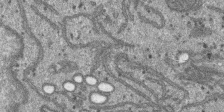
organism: Human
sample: Lung epithelial cells infected with SARS-CoV-2